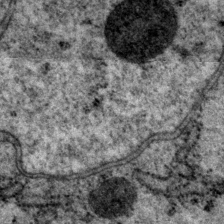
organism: P. pacificus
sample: Pharynx